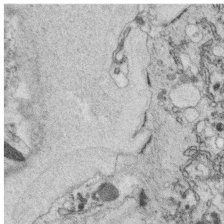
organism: C. elegans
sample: C. elegans oocyte; sperm cells